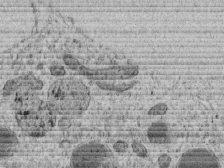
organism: C. elegans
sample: C. elegans embryo early stage